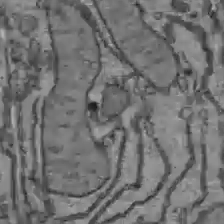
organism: C57BL Mouse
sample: Liver